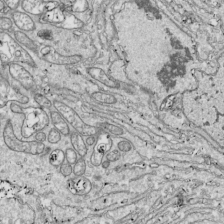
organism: Drosophila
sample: Cell division; meiosis; drosophila spermatocytes